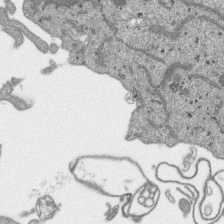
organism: Human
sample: Lung epithelial cells infected with SARS-CoV-2